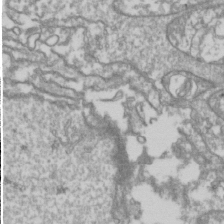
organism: Drosophila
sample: Cell division; meiosis; drosophila spermatocytes